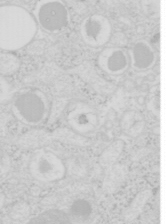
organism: Mouse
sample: Pancreas